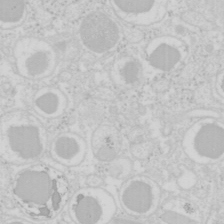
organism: Mouse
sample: Pancreas